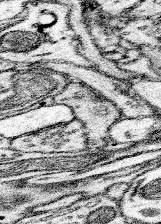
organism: Mouse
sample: Somatosensory cortex neuropil